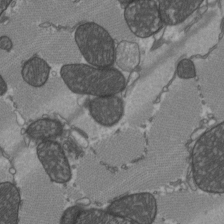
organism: C57BL Mouse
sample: Heart